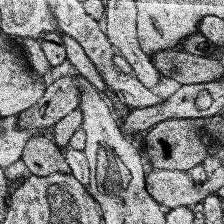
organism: Human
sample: Temporal Lobe